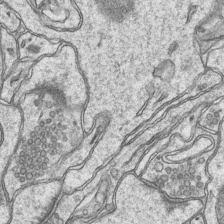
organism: Mouse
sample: CA1 Hippocampus